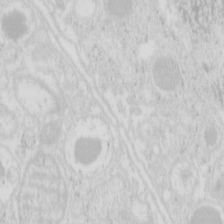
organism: Mouse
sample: Pancreas